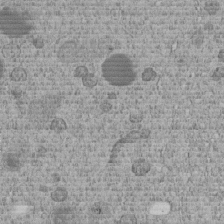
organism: C. elegans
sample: C. elegans embryo early stage